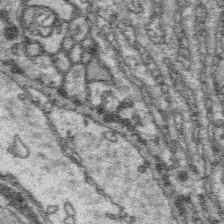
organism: Platynereis dumerilii